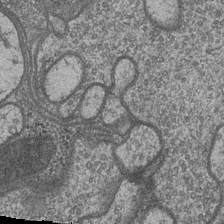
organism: Drosophila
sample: Optic medulla